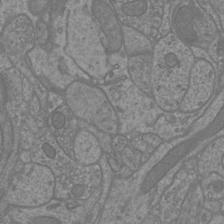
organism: Mouse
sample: Cortical neurons